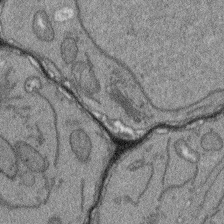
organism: Arabidopsis thaliana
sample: Root tip